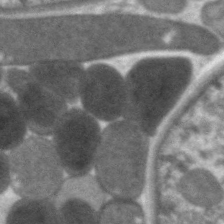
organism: C. elegans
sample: Pharynx